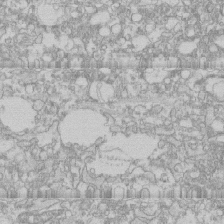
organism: Human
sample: CRL-1474